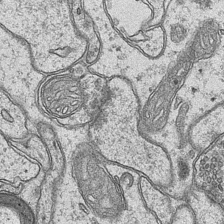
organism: Mouse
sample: CA1 Hippocampus